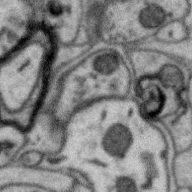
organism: Zebra finch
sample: Brain